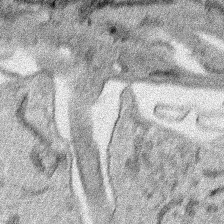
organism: Human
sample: Mitochondria in HCT116 cells